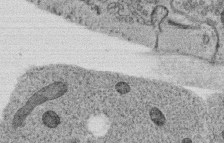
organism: C. elegans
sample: C. elegans oocyte; sperm cells